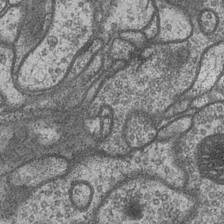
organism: Drosophila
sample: Optic medulla